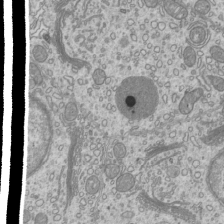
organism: Mouse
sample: Cilia; mouse epididymis